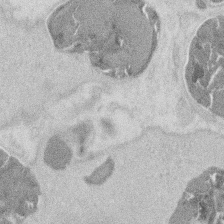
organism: Mouse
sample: T cell stromal cell synapse